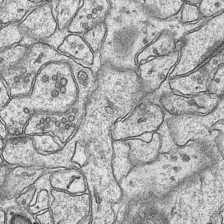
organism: Mouse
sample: CA1 Hippocampus